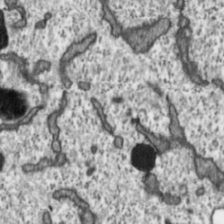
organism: Toxoplasma gondii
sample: Parasites in a vacuole inside a host cell